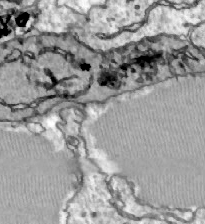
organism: Zebrafish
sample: Actinotrichia fibers